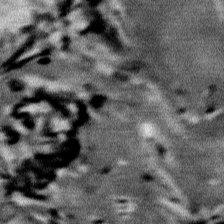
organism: Mouse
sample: Mouse Salivary gland